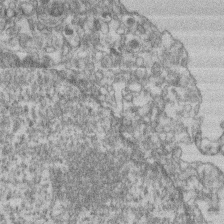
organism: Mouse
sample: T cell stromal cell synapse